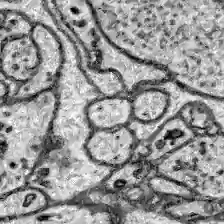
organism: Zebrafish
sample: Brain